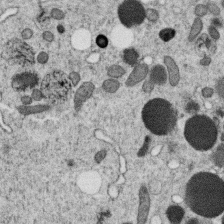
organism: C. elegans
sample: C. elegans oocyte; sperm cells